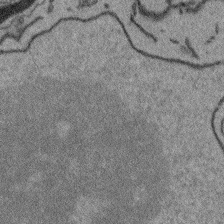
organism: Arabidopsis thaliana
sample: Root tip